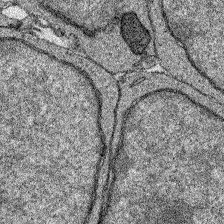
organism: Zebrafish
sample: Larval olfactory bulb